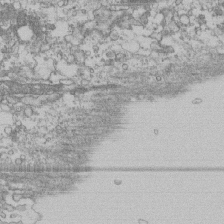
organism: Human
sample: Fibroblast cells